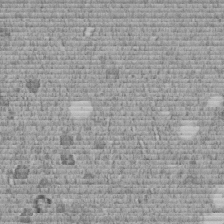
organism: C. elegans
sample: C. elegans embryo early stage